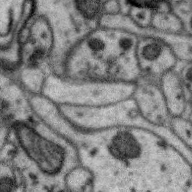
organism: Zebra finch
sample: Brain